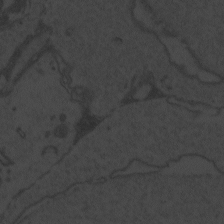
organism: Zebrafish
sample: Macrophage infected with Toxoplasma gondii